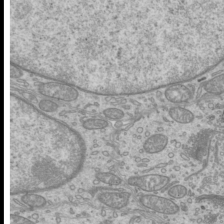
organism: Mouse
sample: Cilia; mouse epididymis